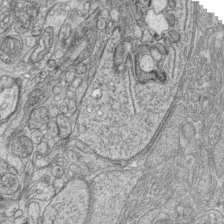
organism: Zebrafish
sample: synaptic ribbons in rod cells and cone cells